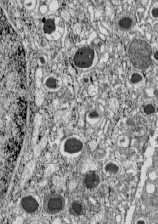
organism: C57BL Mouse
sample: Pancreatic islet